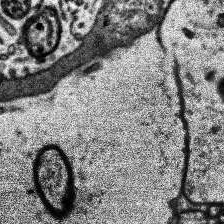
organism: Human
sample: Temporal Lobe